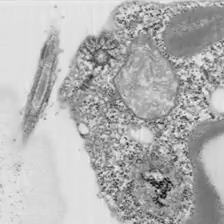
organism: Chlamydomonas reinhardtii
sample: Whole Cell